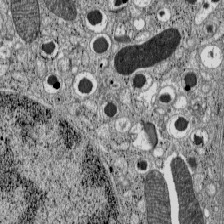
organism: C57BL Mouse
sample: Pancreatic islet